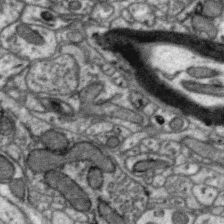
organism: Zebra finch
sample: Brain